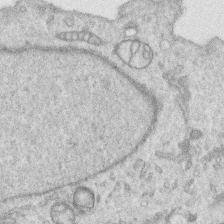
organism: Human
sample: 1205lu cells